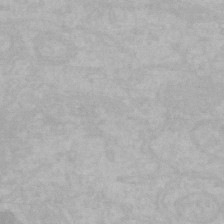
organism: Mouse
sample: Choroid plexus